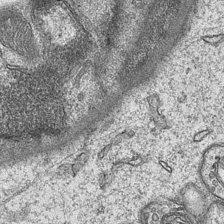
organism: Mouse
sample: CA1 Hippocampus